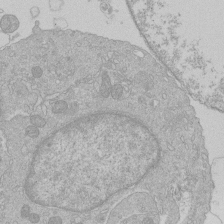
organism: Human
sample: Macrophage cells